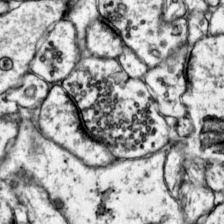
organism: Mouse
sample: Primary visual cortex